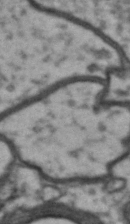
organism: Drosophila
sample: Brain